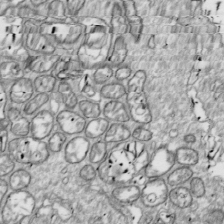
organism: Drosophila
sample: Cell division; meiosis; drosophila spermatocytes